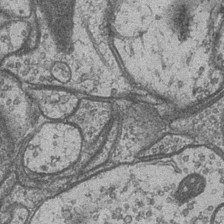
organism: Drosophila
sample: Optic medulla